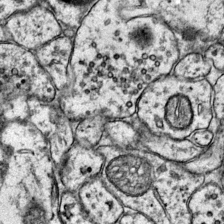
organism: Mouse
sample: Primary visual cortex